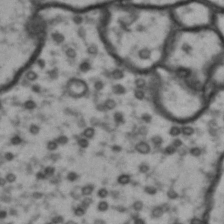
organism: Drosophila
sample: Brain